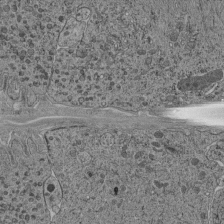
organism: C. elegans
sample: C. elegans pharynx